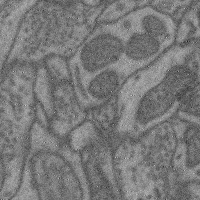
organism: Mouse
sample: Cerebral cortex